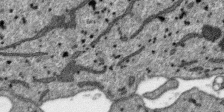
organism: Human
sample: Lung epithelial cells, uninfected (mock) control